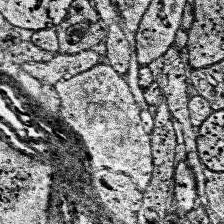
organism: Human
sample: Temporal Lobe